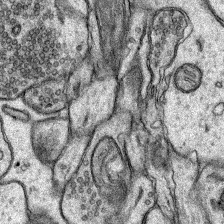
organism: Rat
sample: Hippocampus